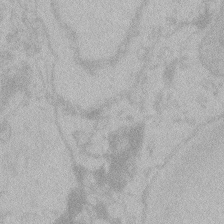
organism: Zebrafish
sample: Macrophage infected with Toxoplasma gondii